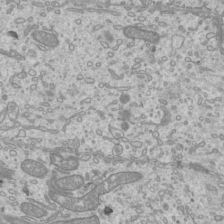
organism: Mouse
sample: Cilia; mouse epididymis